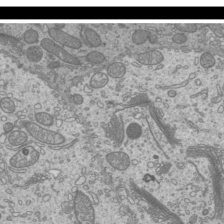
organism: Mouse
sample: Cilia; mouse epididymis